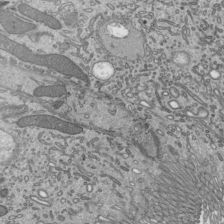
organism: Mouse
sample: Mouse epididymis efferent ductule cilia